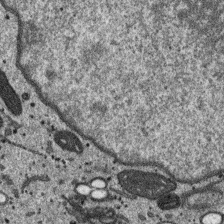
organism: Human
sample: Lung epithelial cells infected with SARS-CoV-2